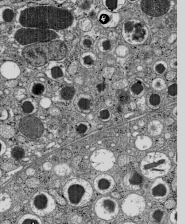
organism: C57BL Mouse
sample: Pancreatic islet